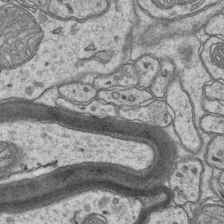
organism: Mouse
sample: CA1 Hippocampus